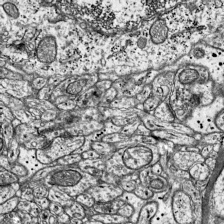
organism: Mouse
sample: Visual Cortex